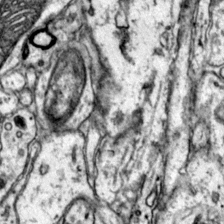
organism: Mouse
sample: Primary visual cortex